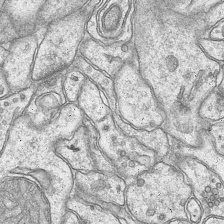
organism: Mouse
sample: CA1 Hippocampus